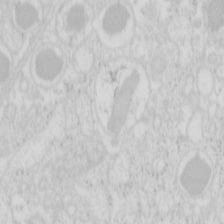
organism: Mouse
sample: Pancreas